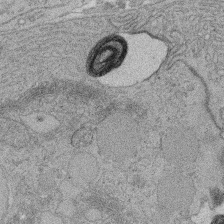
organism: Rat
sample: Salivary granule